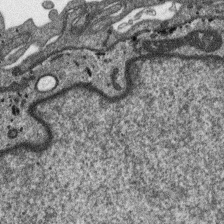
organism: Human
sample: Lung epithelial cells infected with SARS-CoV-2